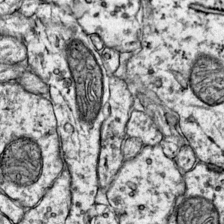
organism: Mouse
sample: Primary visual cortex